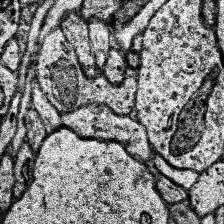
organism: Human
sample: Temporal Lobe